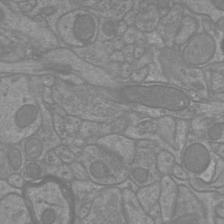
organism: Mouse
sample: Cortical neurons